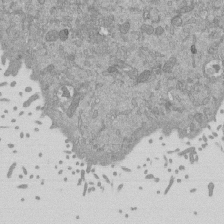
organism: Mouse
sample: ED-1 cell nuclei; centrioles